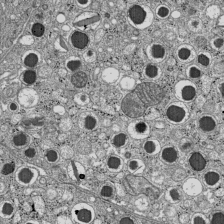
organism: C57BL Mouse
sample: Pancreatic islet